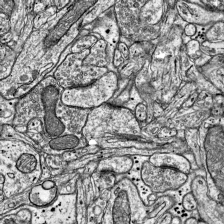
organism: Mouse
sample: Visual Cortex